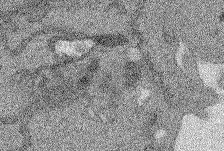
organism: Human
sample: HeLa cells